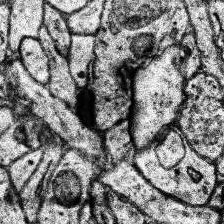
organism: Human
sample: Temporal Lobe